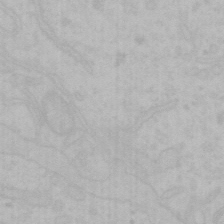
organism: Mouse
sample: Choroid plexus